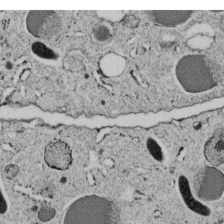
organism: C. elegans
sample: C. elegans embryo early stage